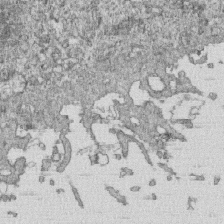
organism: Human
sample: HeLa cell HIV synapse